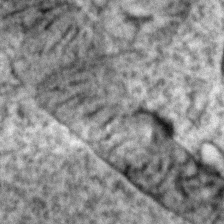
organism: Zebrafish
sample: Zebrafish embryo